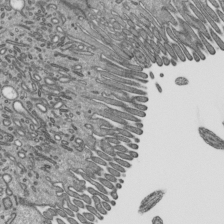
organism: Mouse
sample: Mouse epididymis efferent ductule cilia